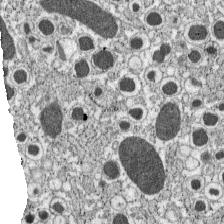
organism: C57BL Mouse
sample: Pancreatic islet